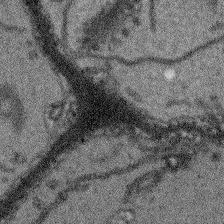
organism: Arabidopsis thaliana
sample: Root tip